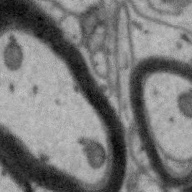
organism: Zebra finch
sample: Brain